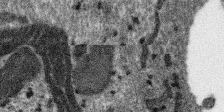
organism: Human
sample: Lung epithelial cells infected with SARS-CoV-2